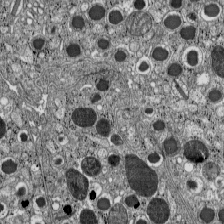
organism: C57BL Mouse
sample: Pancreatic islet